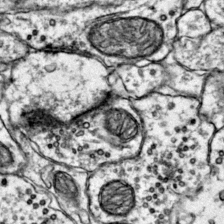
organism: Mouse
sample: Primary visual cortex